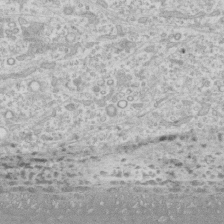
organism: Human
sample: CRL-1474